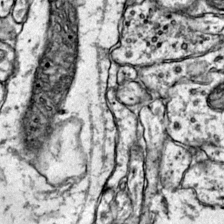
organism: Mouse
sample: Primary visual cortex